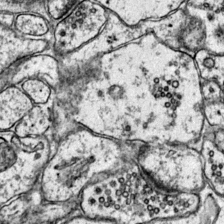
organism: Mouse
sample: Primary visual cortex